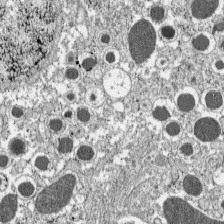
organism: C57BL Mouse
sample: Pancreatic islet